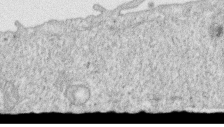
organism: Human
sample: HeLa cell HIV synapse